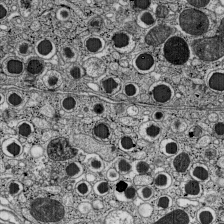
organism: C57BL Mouse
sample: Pancreatic islet